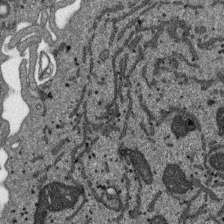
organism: Human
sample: Lung epithelial cells infected with SARS-CoV-2